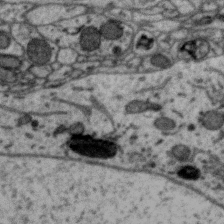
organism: Zebra finch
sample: Brain